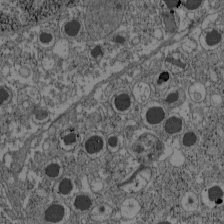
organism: C57BL Mouse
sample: Pancreatic islet